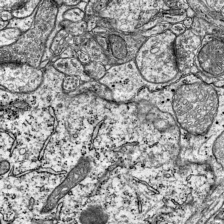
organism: Mouse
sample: Visual Cortex